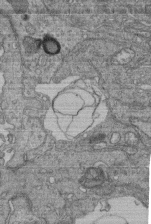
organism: Human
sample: Retinal organoid Rod and Cone cells